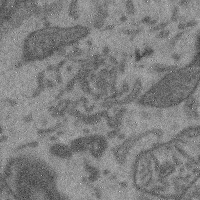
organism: Mouse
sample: Cerebral cortex